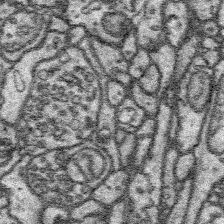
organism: Platynereis dumerilii